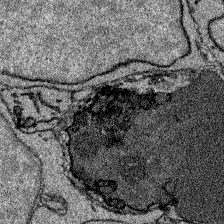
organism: Zebrafish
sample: Larval olfactory bulb